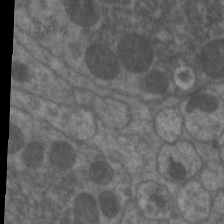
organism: C. elegans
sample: Pharynx